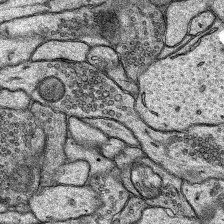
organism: Rat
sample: Hippocampus